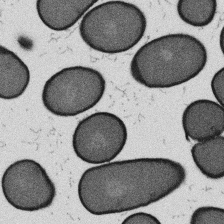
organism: B. subtilis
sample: Bacterial spore